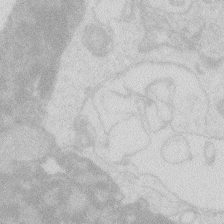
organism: Zebrafish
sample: Macrophage